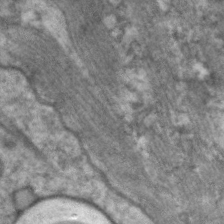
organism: C. elegans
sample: Pharynx